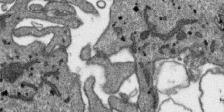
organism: Human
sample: Lung epithelial cells, uninfected (mock) control